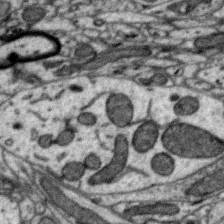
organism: Zebra finch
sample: Brain